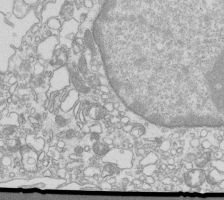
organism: Mouse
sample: Macrophages